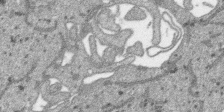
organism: Human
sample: Lung epithelial cells infected with SARS-CoV-2